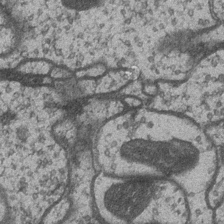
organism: Drosophila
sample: Optic medulla